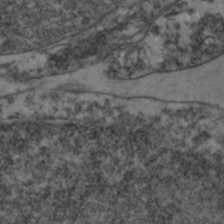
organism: Zebrafish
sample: Zebrafish embryo